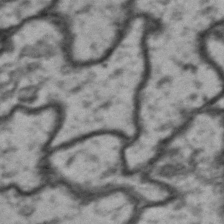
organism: Drosophila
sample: Brain